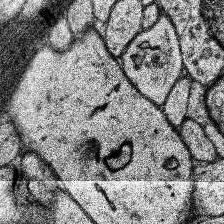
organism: Human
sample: Temporal Lobe